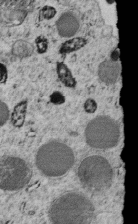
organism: C. elegans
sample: C. elegans embryo early stage